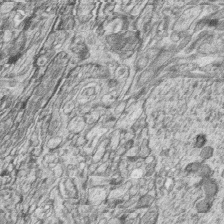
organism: Zebrafish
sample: synaptic ribbons in rod cells and cone cells